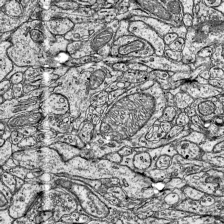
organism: Mouse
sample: Visual Cortex